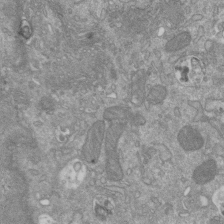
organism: Mouse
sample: ED-1 cell nuclei; centrioles